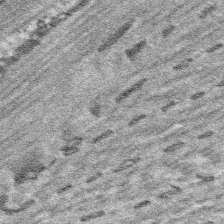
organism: Platynereis dumerilii